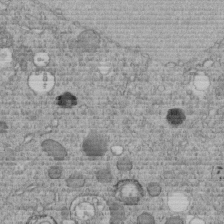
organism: C. elegans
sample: C. elegans embryo early stage